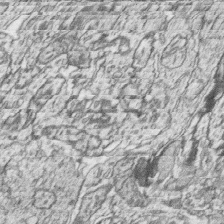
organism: Zebrafish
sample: synaptic ribbons in rod cells and cone cells